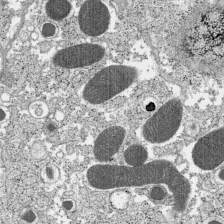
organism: C57BL Mouse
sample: Pancreatic islet